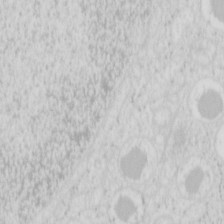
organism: Mouse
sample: Pancreas